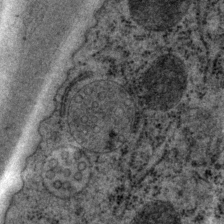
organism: P. pacificus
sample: Pharynx